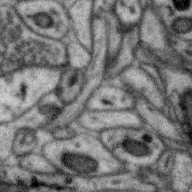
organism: Zebra finch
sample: Brain